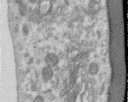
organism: Human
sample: Centriole in RPE cells